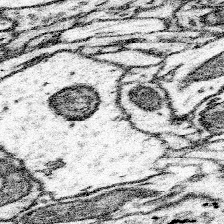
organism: Mouse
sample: Somatosensory cortex neuropil